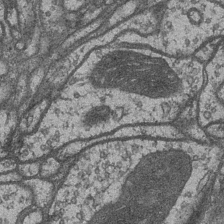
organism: Drosophila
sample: Optic medulla